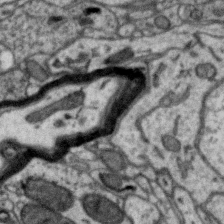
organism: Zebra finch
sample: Brain